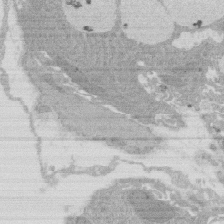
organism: Rat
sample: Salivary granule